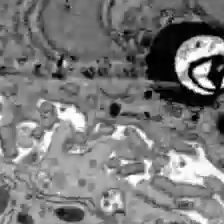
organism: C57BL Mouse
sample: Liver